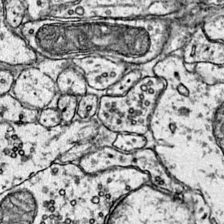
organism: Mouse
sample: Primary visual cortex